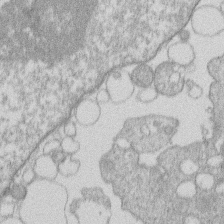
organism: Human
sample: Macrophage cells